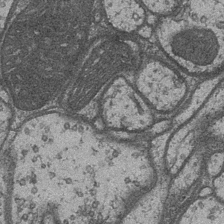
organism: Drosophila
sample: Optic medulla